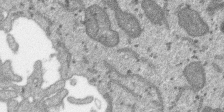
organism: Human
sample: Lung epithelial cells infected with SARS-CoV-2